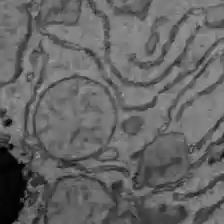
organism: C57BL Mouse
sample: Liver